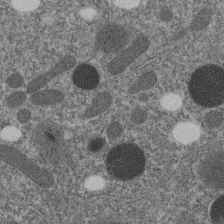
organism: C. elegans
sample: C. elegans embryo early stage